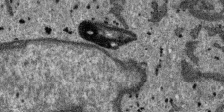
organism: Human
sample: Lung epithelial cells, uninfected (mock) control